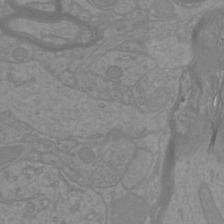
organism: Mouse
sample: Cortical neurons